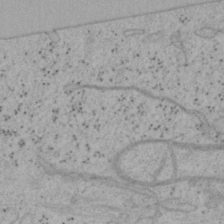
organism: Human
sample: HeLa cells